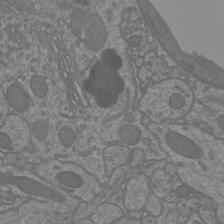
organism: Mouse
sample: Cortical neurons